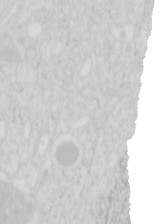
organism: Mouse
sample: Pancreas